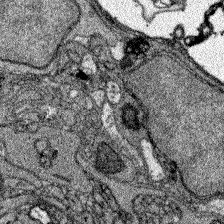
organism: Zebrafish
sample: Larval olfactory bulb